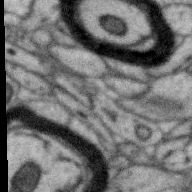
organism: Zebra finch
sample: Brain